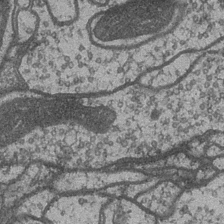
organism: Drosophila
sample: Optic medulla